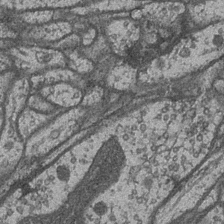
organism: Drosophila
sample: Optic medulla